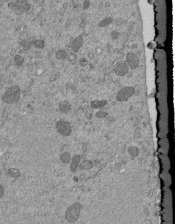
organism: Mouse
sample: ED-1 cell nuclei; centrioles